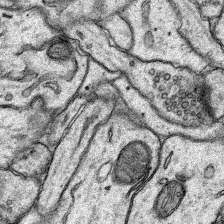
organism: Rat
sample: Hippocampus